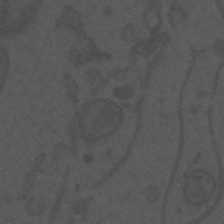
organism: Mouse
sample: Suprachiasmatic nucleus